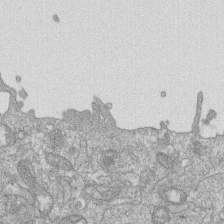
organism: Human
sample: HeLa cell HIV synapse